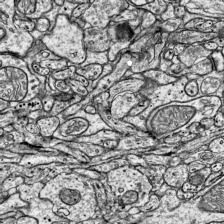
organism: Mouse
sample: Visual Cortex